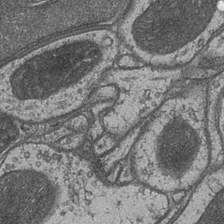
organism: Drosophila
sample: Optic medulla